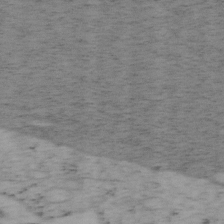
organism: Mouse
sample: OT-I killer T cells with ID8 ovarian cancer cells